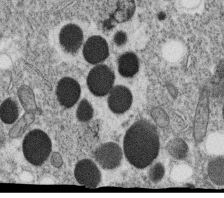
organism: C. elegans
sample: C. elegans oocyte; sperm cells